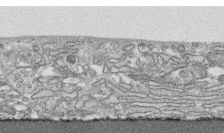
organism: Human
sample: CRL-1474